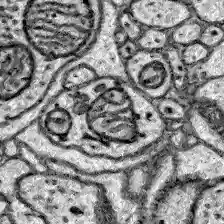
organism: Zebrafish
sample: Brain